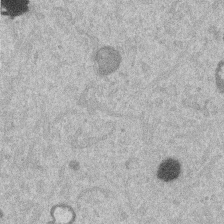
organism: Mouse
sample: Dividing mouse embryo 1 cell stage